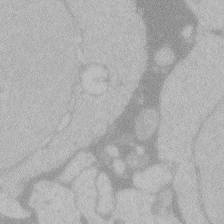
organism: Zebrafish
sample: Macrophage infected with Toxoplasma gondii